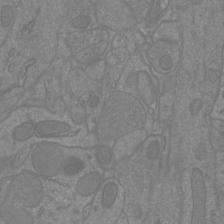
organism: Mouse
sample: Cortical neurons